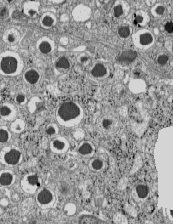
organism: C57BL Mouse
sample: Pancreatic islet